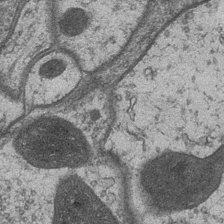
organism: Drosophila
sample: Optic medulla